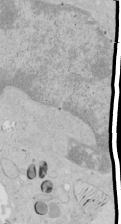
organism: Human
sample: Mitochondria in HCT116 cells